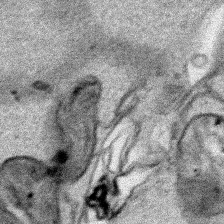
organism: Human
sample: Mitochondria in HCT116 cells